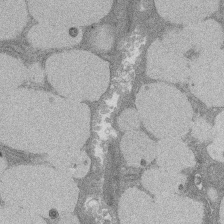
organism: Rat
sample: Salivary granule